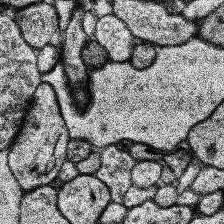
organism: Human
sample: Temporal Lobe